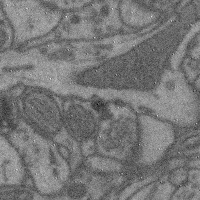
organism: Mouse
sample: Cerebral cortex